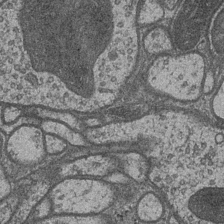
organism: Drosophila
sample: Optic medulla